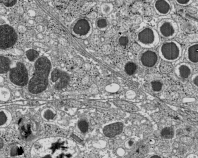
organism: C57BL Mouse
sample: Pancreatic islet